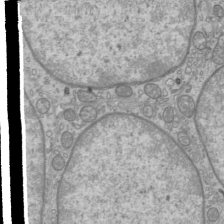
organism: Mouse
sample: Cilia; mouse epididymis